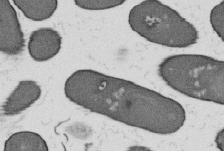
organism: B. subtilis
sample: Bacterial spore